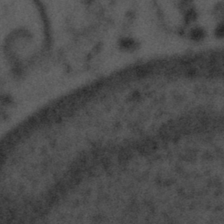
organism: Tuwongella immobilis